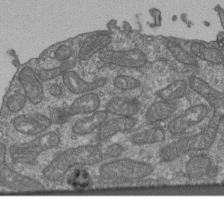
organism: Human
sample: Retinal organoid Rod and Cone cells